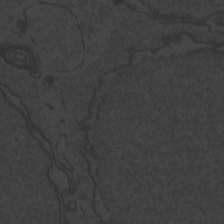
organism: Zebrafish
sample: Macrophage infected with Toxoplasma gondii